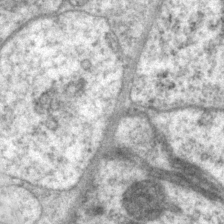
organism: P. pacificus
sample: Pharynx